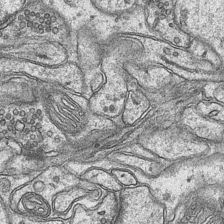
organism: Mouse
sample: CA1 Hippocampus